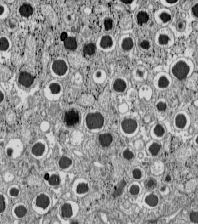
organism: C57BL Mouse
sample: Pancreatic islet